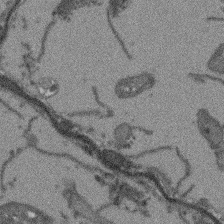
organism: Arabidopsis thaliana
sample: Root tip